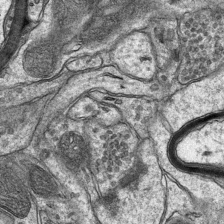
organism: Mouse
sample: CA1 Hippocampus